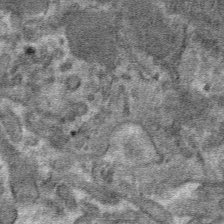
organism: Mouse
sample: Mouse hepatocytes